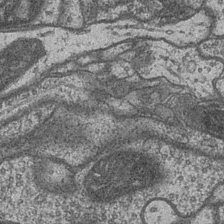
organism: Drosophila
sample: Optic medulla